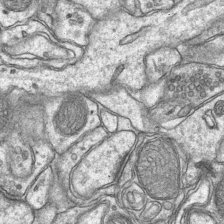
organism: Mouse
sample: CA1 Hippocampus